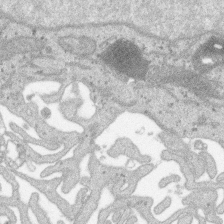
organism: Human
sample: Lung epithelial cells infected with SARS-CoV-2